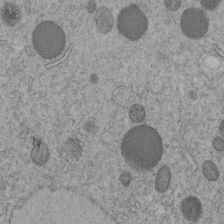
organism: C. elegans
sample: C. elegans embryo early stage